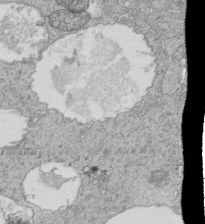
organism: Tetrahymena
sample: Cilia in tetrahymena